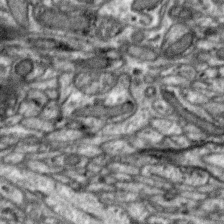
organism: Zebra finch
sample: Brain